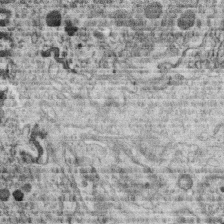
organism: C. elegans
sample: C. elegans oocyte; sperm cells